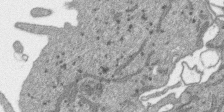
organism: Human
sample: Lung epithelial cells infected with SARS-CoV-2